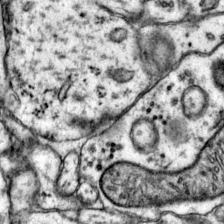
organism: Mouse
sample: Primary visual cortex